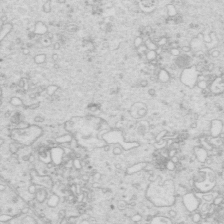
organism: Mouse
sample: Multiciliated cells